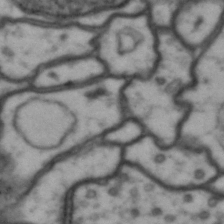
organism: Drosophila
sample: Brain